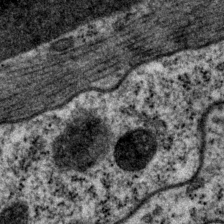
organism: P. pacificus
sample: Pharynx